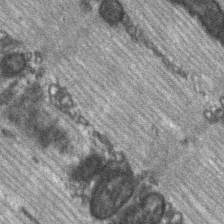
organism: C57BL Mouse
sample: Soleus